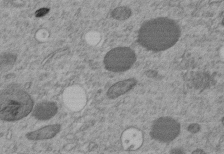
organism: C. elegans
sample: C. elegans embryo early stage